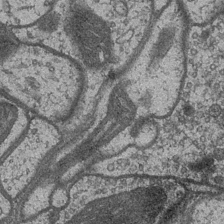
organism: Drosophila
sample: Optic medulla